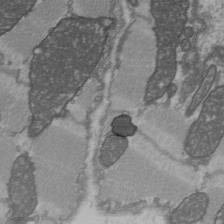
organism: C57BL Mouse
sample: Heart